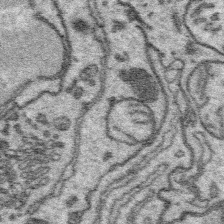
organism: Platynereis dumerilii